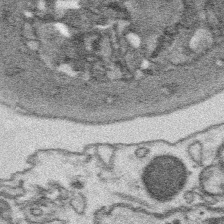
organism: Platynereis dumerilii